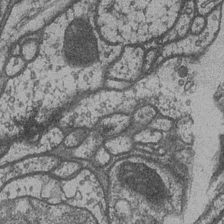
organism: Drosophila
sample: Optic medulla